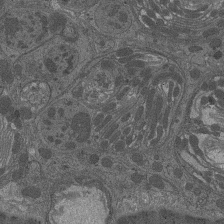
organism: Drosophila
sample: Antenna